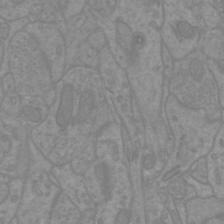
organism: Mouse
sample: Cortical neurons